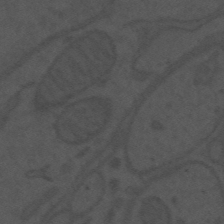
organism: Mouse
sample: Suprachiasmatic nucleus